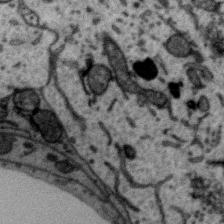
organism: Zebra finch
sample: Brain